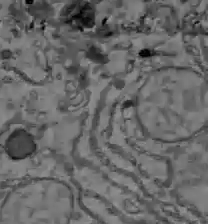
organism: C57BL Mouse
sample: Liver